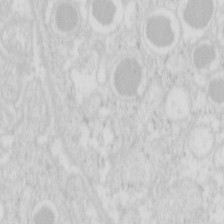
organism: Mouse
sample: Pancreas